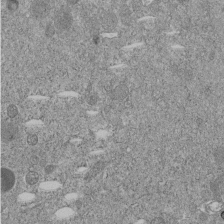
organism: C. elegans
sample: C. elegans embryo early stage